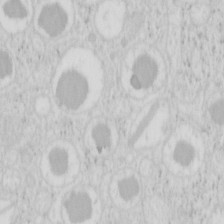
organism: Mouse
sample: Pancreas